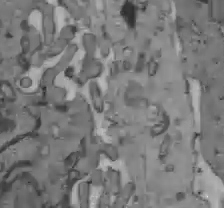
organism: C57BL Mouse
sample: Liver